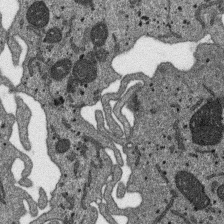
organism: Human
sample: Lung epithelial cells infected with SARS-CoV-2